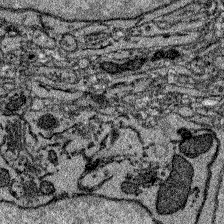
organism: Zebrafish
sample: Larval olfactory bulb